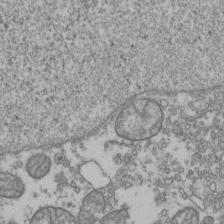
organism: Human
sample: Activated Jurkat CD4+ T cells